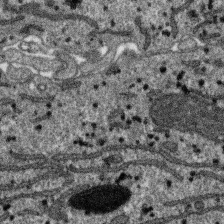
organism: Human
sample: Lung epithelial cells infected with SARS-CoV-2